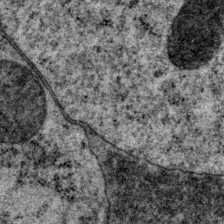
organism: P. pacificus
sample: Pharynx